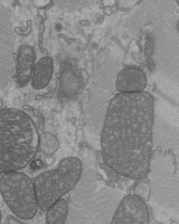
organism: C57BL Mouse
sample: Heart